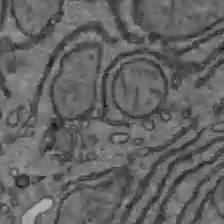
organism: C57BL Mouse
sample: Liver